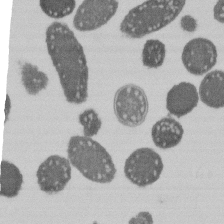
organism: E. coli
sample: Bacterial nucleoid